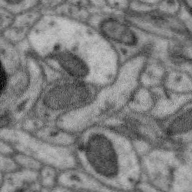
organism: Zebra finch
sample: Brain